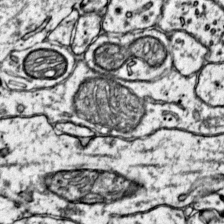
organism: Mouse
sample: Primary visual cortex